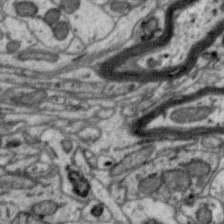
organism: Zebra finch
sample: Brain